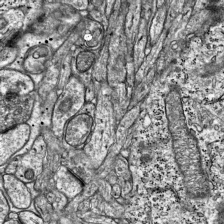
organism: Mouse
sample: Visual Cortex